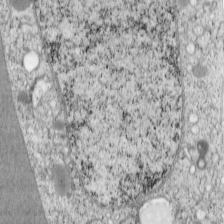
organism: African green monkey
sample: COS-7 cells